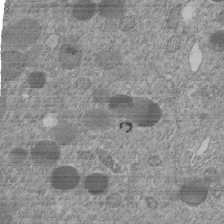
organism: C. elegans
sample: C. elegans embryo early stage